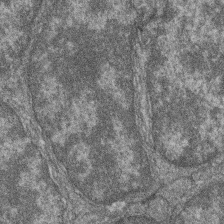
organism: Zebrafish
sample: Cilia; retinal pigment epithelium